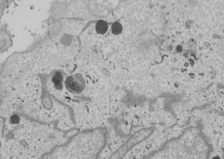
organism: Human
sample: Mitochondria in U2OS cells